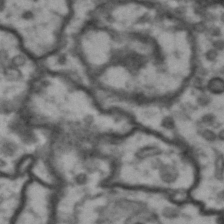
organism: Drosophila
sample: Brain